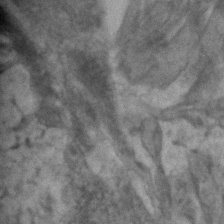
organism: Zebrafish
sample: Zebrafish embryo